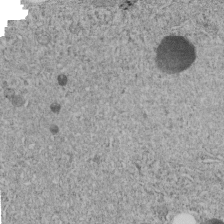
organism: C. elegans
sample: C. elegans embryo early stage